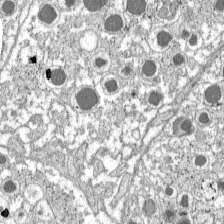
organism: C57BL Mouse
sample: Pancreatic islet